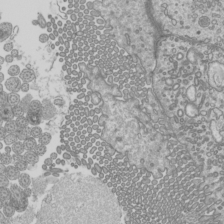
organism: Mouse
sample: Cilia; mouse epididymis